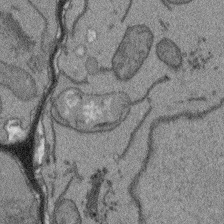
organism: Arabidopsis thaliana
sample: Root tip